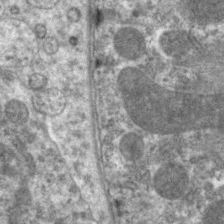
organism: C. elegans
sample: Pharynx